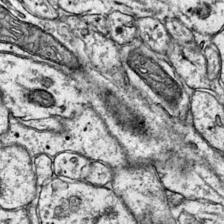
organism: Mouse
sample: Primary visual cortex